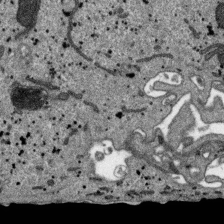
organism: Human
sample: Lung epithelial cells, uninfected (mock) control